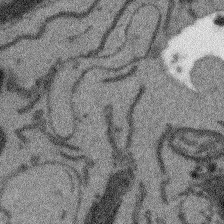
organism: Arabidopsis thaliana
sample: Root tip